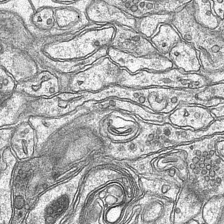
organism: Mouse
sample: CA1 Hippocampus